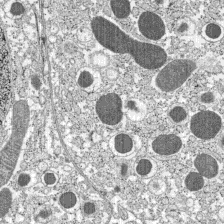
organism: C57BL Mouse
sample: Pancreatic islet